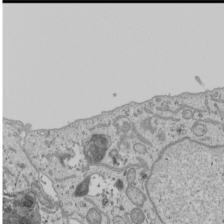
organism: Human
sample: Mitochondria in U2OS cells